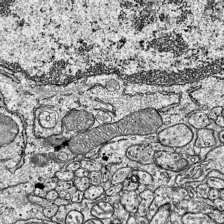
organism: Mouse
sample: Visual Cortex